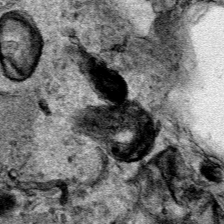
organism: Human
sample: Mitochondria in HCT116 cells